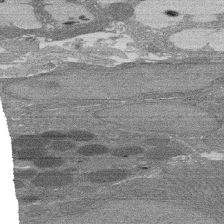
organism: Rat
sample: Salivary granule